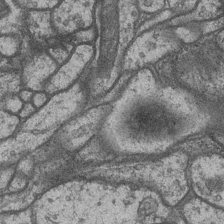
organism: Drosophila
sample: Optic medulla